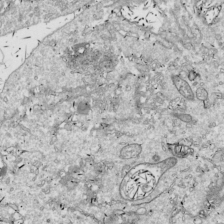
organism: Drosophila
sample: Cell division; meiosis; drosophila spermatocytes